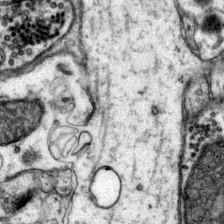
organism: Mouse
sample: Primary visual cortex